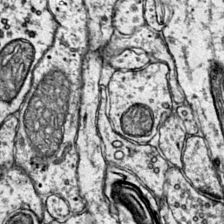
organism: Mouse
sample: Primary visual cortex